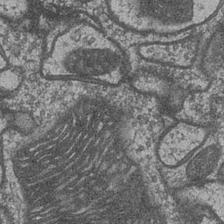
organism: Drosophila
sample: Optic medulla